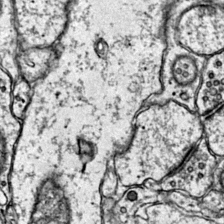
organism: Mouse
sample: Primary visual cortex